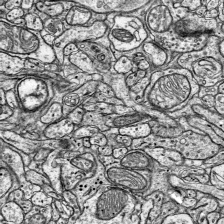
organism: Mouse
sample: Visual Cortex